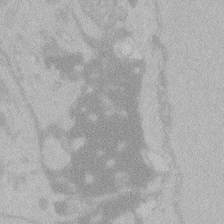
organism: Zebrafish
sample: Macrophage infected with Toxoplasma gondii